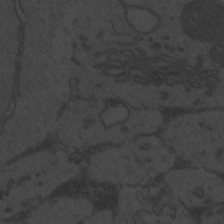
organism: Zebrafish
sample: Macrophage infected with Toxoplasma gondii